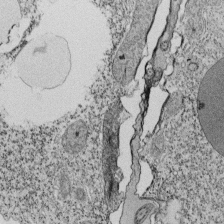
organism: Tetrahymena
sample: Cilia in tetrahymena